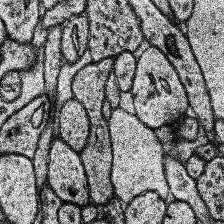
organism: Human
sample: Temporal Lobe